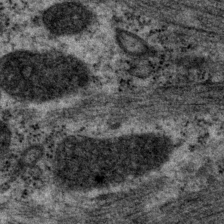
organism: P. pacificus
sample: Pharynx